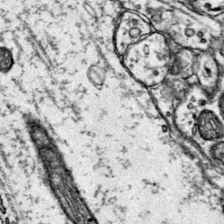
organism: Mouse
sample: Primary visual cortex